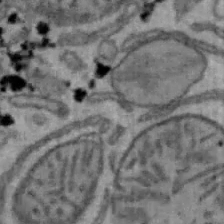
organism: Mouse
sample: Liver